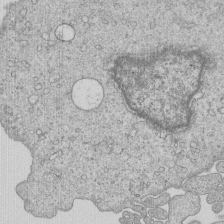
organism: Human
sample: MDA-MB-231 cells